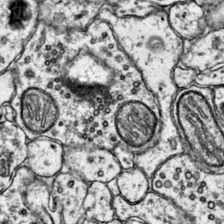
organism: Mouse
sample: Primary visual cortex